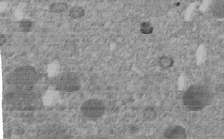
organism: C. elegans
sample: C. elegans embryo early stage